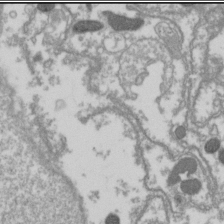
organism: Drosophila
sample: Cell division; meiosis; drosophila spermatocytes